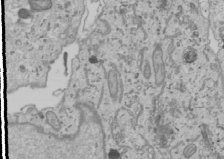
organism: Human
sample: Mitochondria in U2OS cells